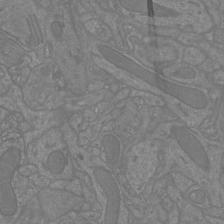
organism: Mouse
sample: Cortical neurons